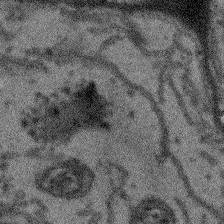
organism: Arabidopsis thaliana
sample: Root tip